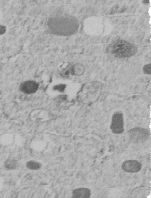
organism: C. elegans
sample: C. elegans embryo early stage